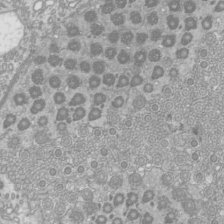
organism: Mouse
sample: Cilia; mouse epididymis